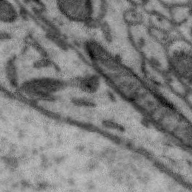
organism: Zebra finch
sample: Brain